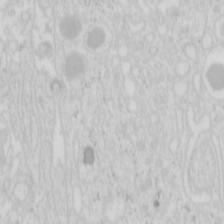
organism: Mouse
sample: Pancreas